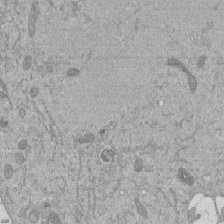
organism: Mouse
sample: ED-1 cell nuclei; centrioles